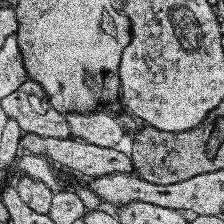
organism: Human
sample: Temporal Lobe